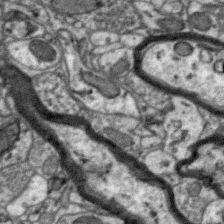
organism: Zebra finch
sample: Brain